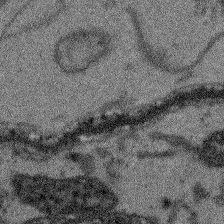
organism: Arabidopsis thaliana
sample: Root tip